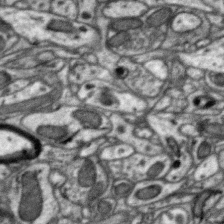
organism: Zebra finch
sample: Brain